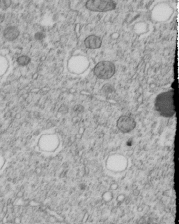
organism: C. elegans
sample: C. elegans embryo early stage